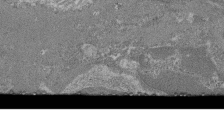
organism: Mouse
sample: Glomerulus